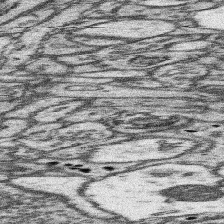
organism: Mouse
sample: Somatosensory cortex neuropil